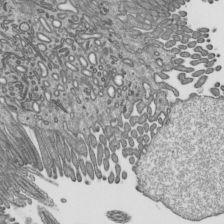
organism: Mouse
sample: Mouse epididymis efferent ductule cilia